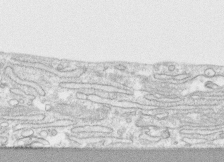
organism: Human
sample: CRL-1474